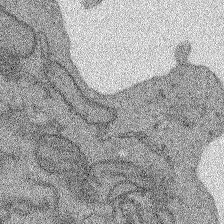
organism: Human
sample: HeLa cells